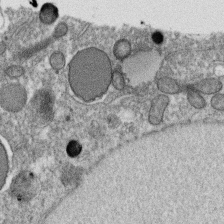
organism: C. elegans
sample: C. elegans oocyte; sperm cells